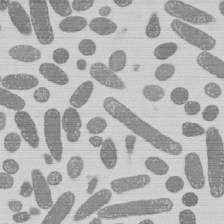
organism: E. coli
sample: Bacterial nucleoid